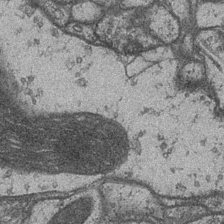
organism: Drosophila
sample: Optic medulla